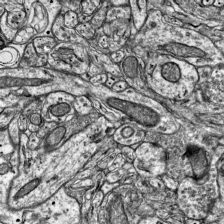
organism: Mouse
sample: Visual Cortex